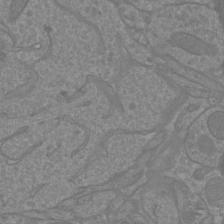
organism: Mouse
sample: Cortical neurons